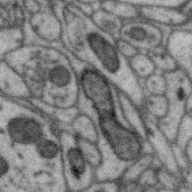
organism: Zebra finch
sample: Brain